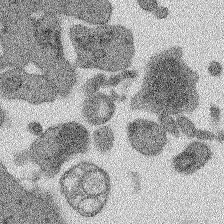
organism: Human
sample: HeLa cells